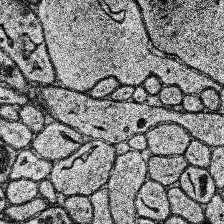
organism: Human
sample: Temporal Lobe